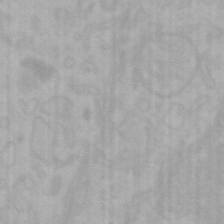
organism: Mouse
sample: Choroid plexus